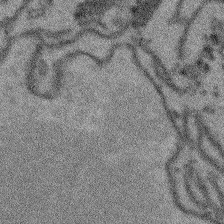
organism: Arabidopsis thaliana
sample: Root tip